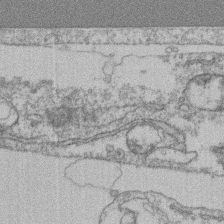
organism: Mouse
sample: T cell stromal cell synapse